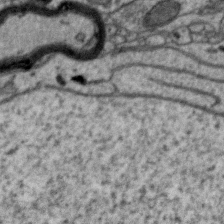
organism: Zebra finch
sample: Brain